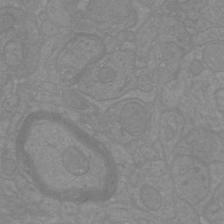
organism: Mouse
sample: Cortical neurons